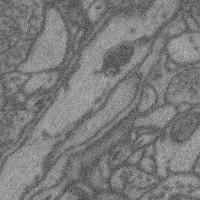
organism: Mouse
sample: Cerebral cortex